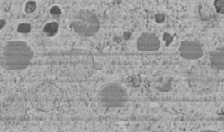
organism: C. elegans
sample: C. elegans embryo early stage